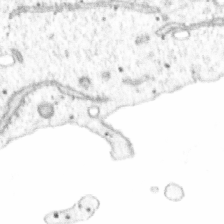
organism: Human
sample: HeLa cells